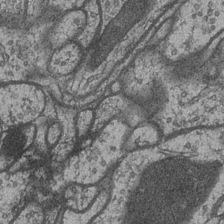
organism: Drosophila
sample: Optic medulla